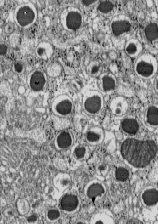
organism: C57BL Mouse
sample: Pancreatic islet